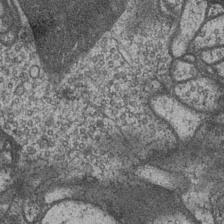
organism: Drosophila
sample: Optic medulla